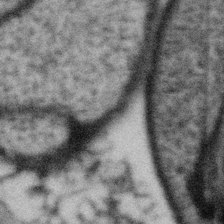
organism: Gemmata obscuriglobus